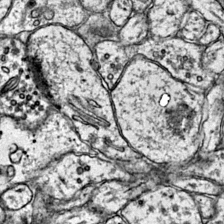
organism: Mouse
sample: Primary visual cortex